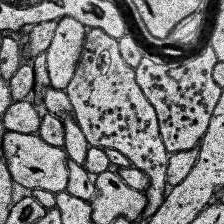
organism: Human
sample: Temporal Lobe